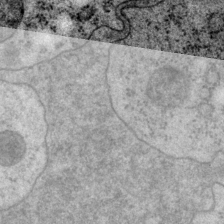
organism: P. pacificus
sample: Pharynx